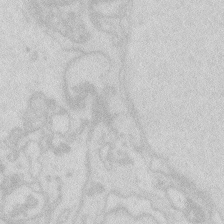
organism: Zebrafish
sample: Macrophage